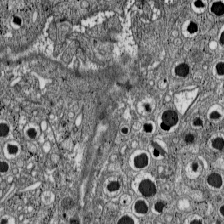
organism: C57BL Mouse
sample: Pancreatic islet